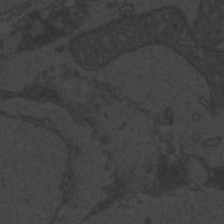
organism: Zebrafish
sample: Macrophage infected with Toxoplasma gondii